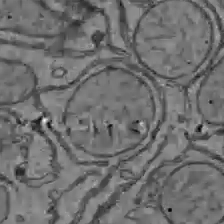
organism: C57BL Mouse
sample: Liver